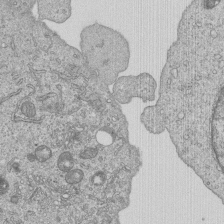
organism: Human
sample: MDA-MB-231 cells